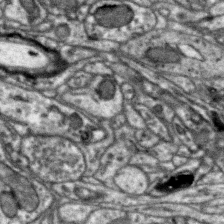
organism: Zebra finch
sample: Brain